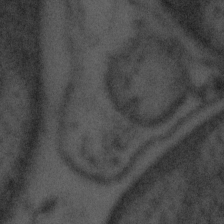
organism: Tuwongella immobilis